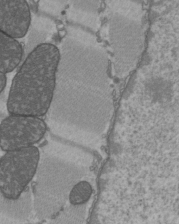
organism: C57BL Mouse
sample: Heart